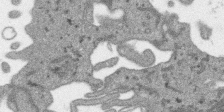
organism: Human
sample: Lung epithelial cells infected with SARS-CoV-2